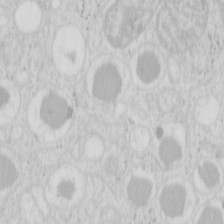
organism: Mouse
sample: Pancreas